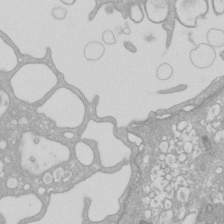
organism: Xenopus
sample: Cilia; centrioles in frog embryo cells